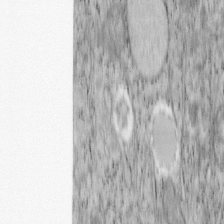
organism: Human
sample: HeLa cells